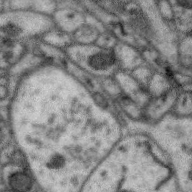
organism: Zebra finch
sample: Brain